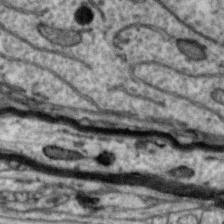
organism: Zebra finch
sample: Brain